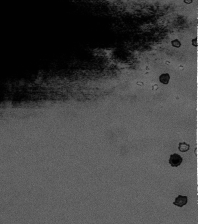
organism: Human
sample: U2-OS cells